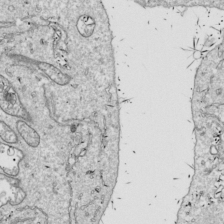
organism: Drosophila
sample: Cell division; meiosis; drosophila spermatocytes